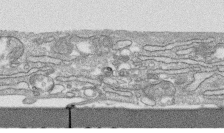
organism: Human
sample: CRL-1474